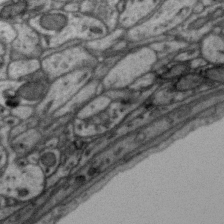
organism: Zebra finch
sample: Brain